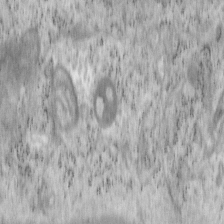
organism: Human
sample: HeLa cells